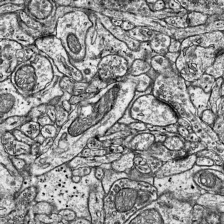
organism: Mouse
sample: Visual Cortex